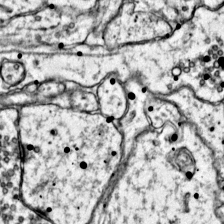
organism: Mouse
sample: Primary visual cortex